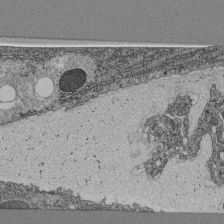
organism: C. elegans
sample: C. elegans pharynx